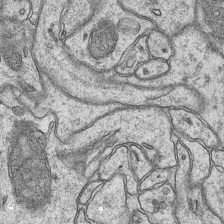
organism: Mouse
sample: CA1 Hippocampus